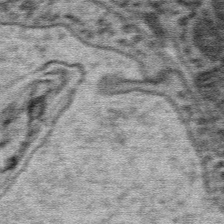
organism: Mouse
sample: Mouse Salivary gland